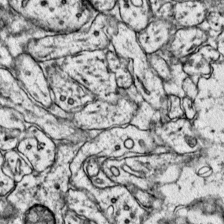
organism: Mouse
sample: Primary visual cortex